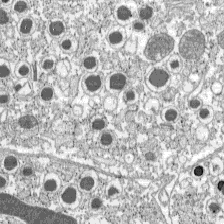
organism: C57BL Mouse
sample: Pancreatic islet